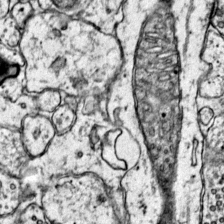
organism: Mouse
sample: Primary visual cortex